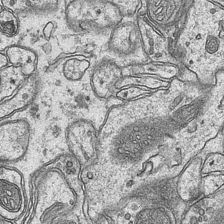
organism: Mouse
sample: CA1 Hippocampus